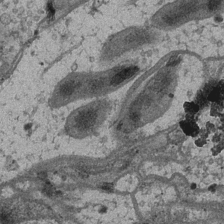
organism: Drosophila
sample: Optic medulla